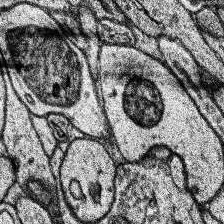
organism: Human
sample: Temporal Lobe